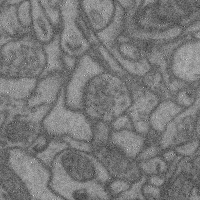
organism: Mouse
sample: Cerebral cortex